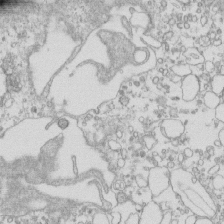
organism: Mouse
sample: Macrophages